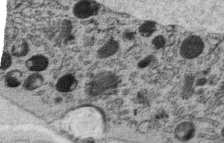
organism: C. elegans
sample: C. elegans oocyte; sperm cells